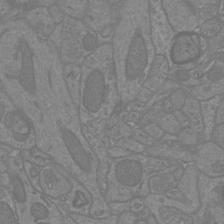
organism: Mouse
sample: Cortical neurons